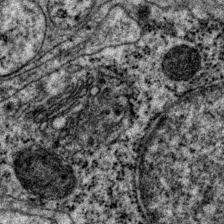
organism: P. pacificus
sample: Pharynx